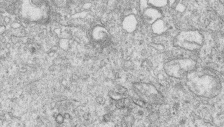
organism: Human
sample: HeLa cell HIV synapse